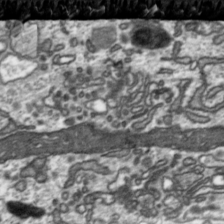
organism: Toxoplasma gondii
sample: Parasites in a vacuole inside a host cell